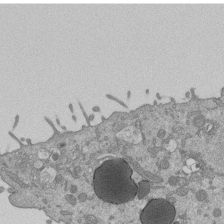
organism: Mouse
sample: ED-1 cell nuclei; centrioles